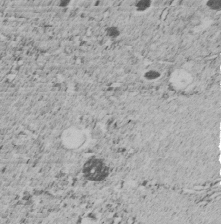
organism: C. elegans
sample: C. elegans embryo early stage